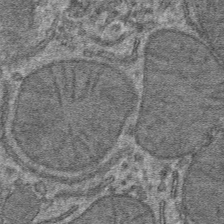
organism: Mouse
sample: Mouse hepatocytes